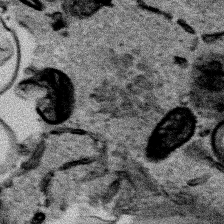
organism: Human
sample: Mitochondria in HCT116 cells